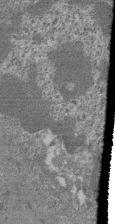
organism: Mouse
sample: Glomerulus